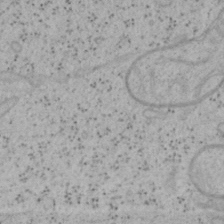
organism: Human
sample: HeLa cells